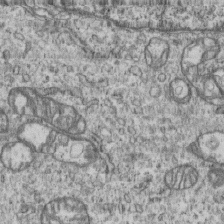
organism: Human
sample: MDA-MB-231 cells